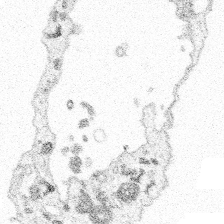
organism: Spongilla lacustris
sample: Multiple